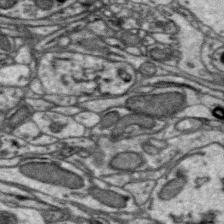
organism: Zebra finch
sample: Brain